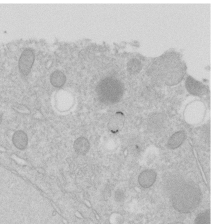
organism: C. elegans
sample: C. elegans embryo early stage